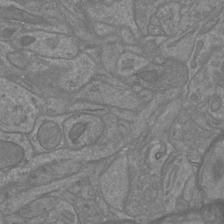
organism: Mouse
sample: Cortical neurons